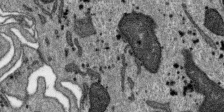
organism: Human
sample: Lung epithelial cells, uninfected (mock) control